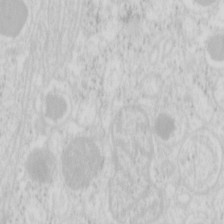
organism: Mouse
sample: Pancreas